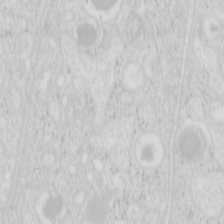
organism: Mouse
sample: Pancreas